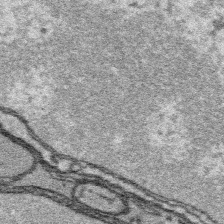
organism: Platynereis dumerilii